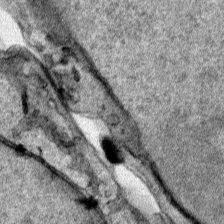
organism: Human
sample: Mitochondria in HCT116 cells